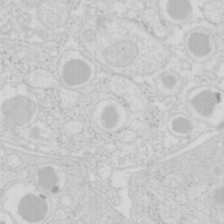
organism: Mouse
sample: Pancreas